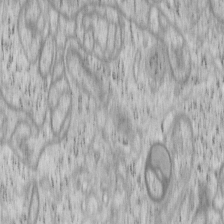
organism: Human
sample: HeLa cells